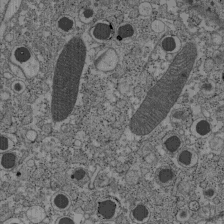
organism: C57BL Mouse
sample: Pancreatic islet